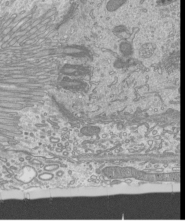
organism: Mouse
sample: Cilia; mouse epididymis